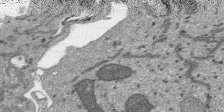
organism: Human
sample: Lung epithelial cells infected with SARS-CoV-2